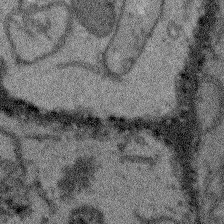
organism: Arabidopsis thaliana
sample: Root tip